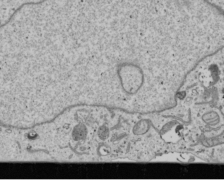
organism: Human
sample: Mitochondria in U2OS cells